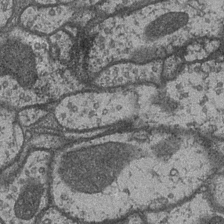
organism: Drosophila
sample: Optic medulla